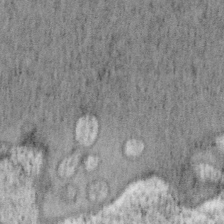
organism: Mouse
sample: OT-I killer T cells with ID8 ovarian cancer cells